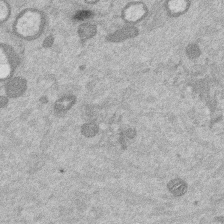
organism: Mouse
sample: Dividing mouse embryo 1 cell stage